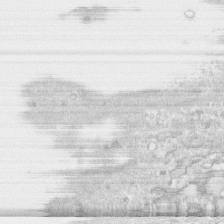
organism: Human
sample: CRL-1474